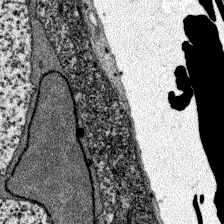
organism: Zebrafish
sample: Larval olfactory bulb